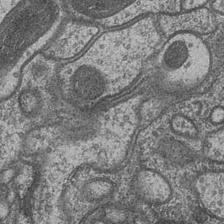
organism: Drosophila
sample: Optic medulla